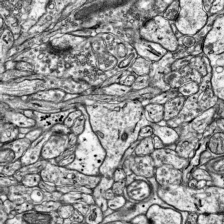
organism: Mouse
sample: Visual Cortex